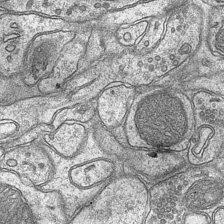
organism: Mouse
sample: CA1 Hippocampus